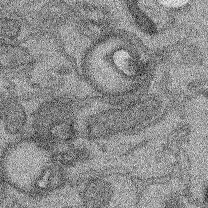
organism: Human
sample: HeLa cells